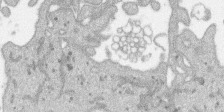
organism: Human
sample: Lung epithelial cells infected with SARS-CoV-2